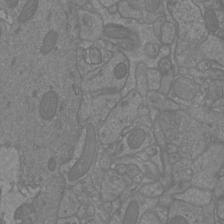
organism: Mouse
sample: Cortical neurons